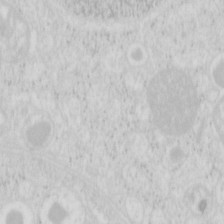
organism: Mouse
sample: Pancreas